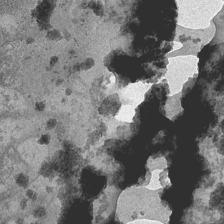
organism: Drosophila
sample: Optic medulla